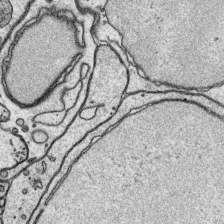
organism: Platynereis dumerilii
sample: Parapodia